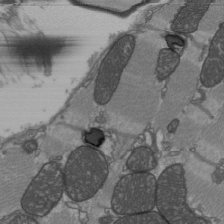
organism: C57BL Mouse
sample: Heart